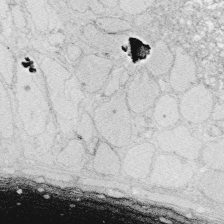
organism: Zebrafish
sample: Whole-Brain